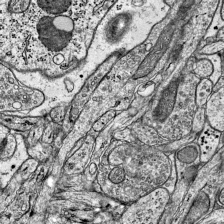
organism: Mouse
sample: Visual Cortex